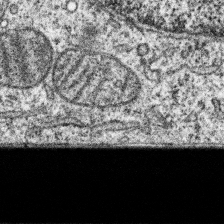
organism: Human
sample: HeLa cells